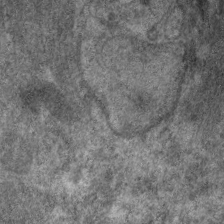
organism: C. elegans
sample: Pharynx